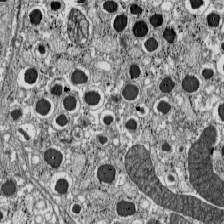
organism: C57BL Mouse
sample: Pancreatic islet